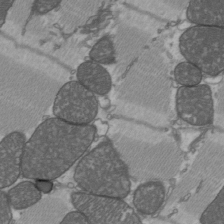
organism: C57BL Mouse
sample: Heart